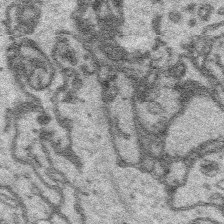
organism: Platynereis dumerilii